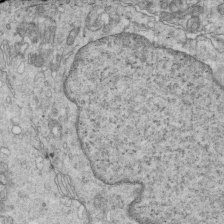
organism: Mouse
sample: Multiciliated cells